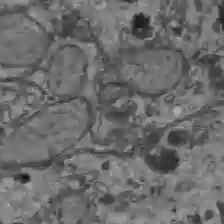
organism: C57BL Mouse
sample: Liver